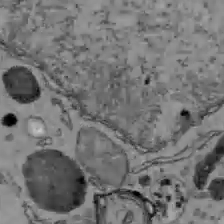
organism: C57BL Mouse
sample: Liver